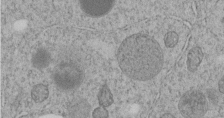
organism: C. elegans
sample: C. elegans embryo early stage